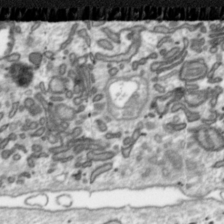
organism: Toxoplasma gondii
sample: Parasites in a vacuole inside a host cell